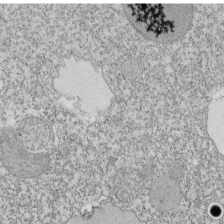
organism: Tetrahymena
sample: Cilia in tetrahymena